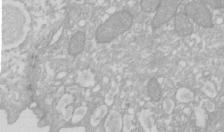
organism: Xenopus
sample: Cilia; centrioles in frog embryo cells